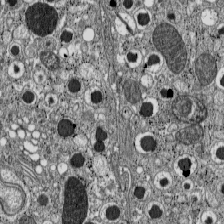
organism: C57BL Mouse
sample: Pancreatic islet